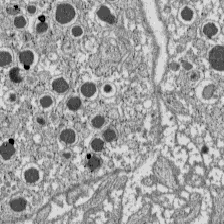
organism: C57BL Mouse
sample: Pancreatic islet